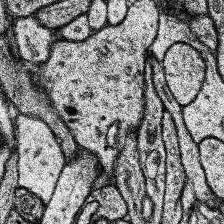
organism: Human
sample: Temporal Lobe